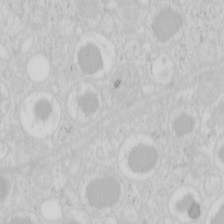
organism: Mouse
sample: Pancreas